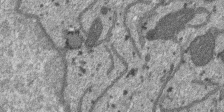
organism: Human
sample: Lung epithelial cells infected with SARS-CoV-2